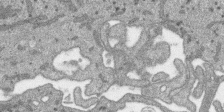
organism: Human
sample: Lung epithelial cells infected with SARS-CoV-2